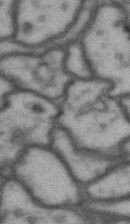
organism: Drosophila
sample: Brain